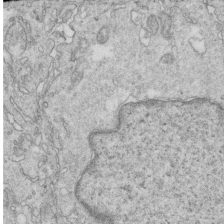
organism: Mouse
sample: Multiciliated cells